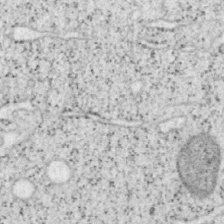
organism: Mouse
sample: OT-I killer T cells with ID8 ovarian cancer cells